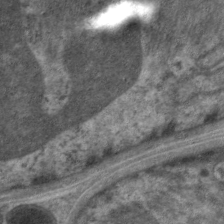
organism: C. elegans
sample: Pharynx